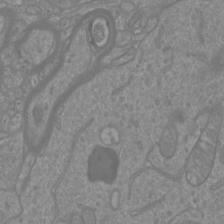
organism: Mouse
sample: Cortical neurons